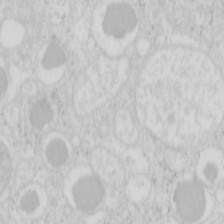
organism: Mouse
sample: Pancreas